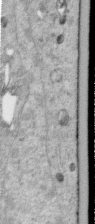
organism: Human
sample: Centriole in RPE cells